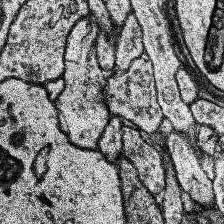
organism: Human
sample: Temporal Lobe